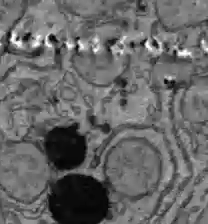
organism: C57BL Mouse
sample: Liver